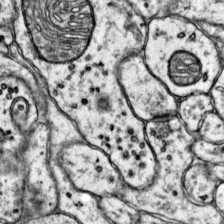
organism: Mouse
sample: Primary visual cortex